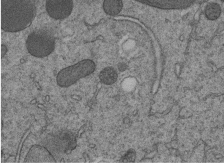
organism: C. elegans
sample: C. elegans embryo early stage